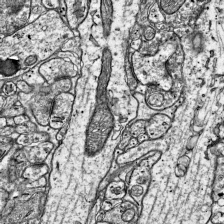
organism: Mouse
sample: Visual Cortex